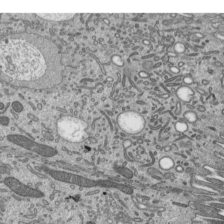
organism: Mouse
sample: Mouse epididymis efferent ductule cilia